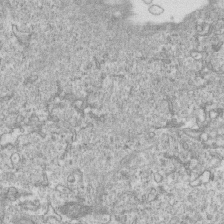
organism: Mouse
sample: Activated OT-1 CD8+ T cells